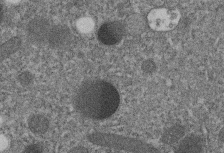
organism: C. elegans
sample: C. elegans embryo early stage